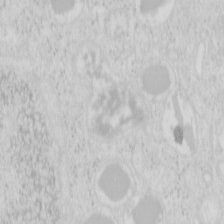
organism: Mouse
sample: Pancreas